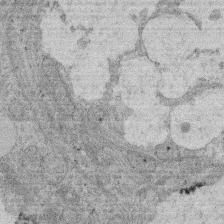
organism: Rat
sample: Salivary granule